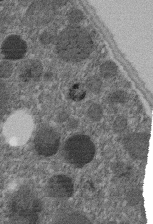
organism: C. elegans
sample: C. elegans embryo early stage